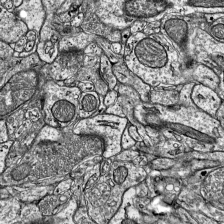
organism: Mouse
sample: Visual Cortex